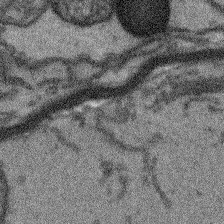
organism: Arabidopsis thaliana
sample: Root tip